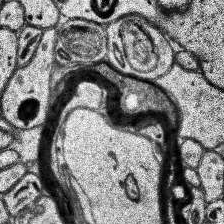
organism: Human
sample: Temporal Lobe